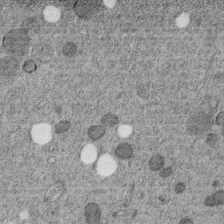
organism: C. elegans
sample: C. elegans embryo early stage